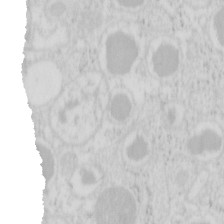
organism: Mouse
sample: Pancreas